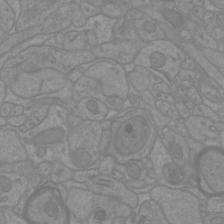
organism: Mouse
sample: Cortical neurons